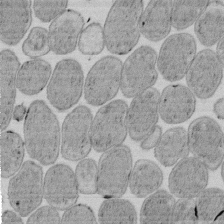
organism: E. coli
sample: Bacterial nucleoid